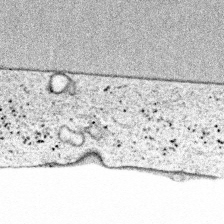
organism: Human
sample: HeLa cells